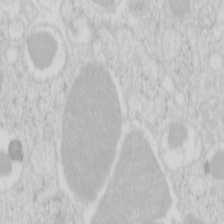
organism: Mouse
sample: Pancreas